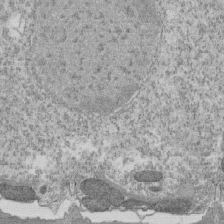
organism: Tetrahymena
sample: Cilia in tetrahymena